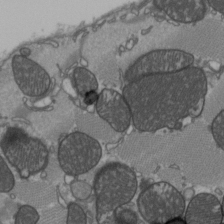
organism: C57BL Mouse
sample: Heart